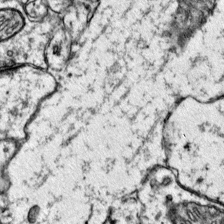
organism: Mouse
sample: Primary visual cortex